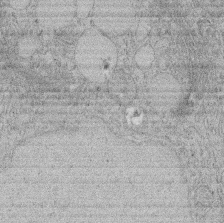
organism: Rat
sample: Salivary granule